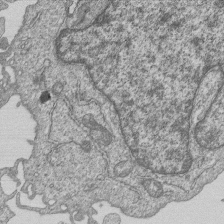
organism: Human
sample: MDA-MB-231 cells